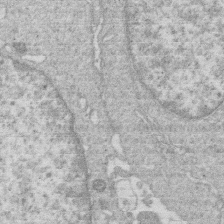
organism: Human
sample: Macrophage cells